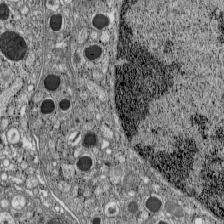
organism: C57BL Mouse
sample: Pancreatic islet